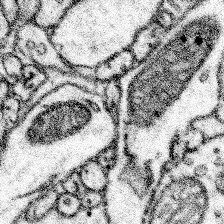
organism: Mouse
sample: Somatosensory cortex neuropil